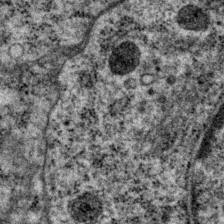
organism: P. pacificus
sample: Pharynx